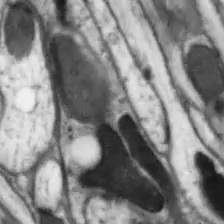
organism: Drosophila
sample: Optic lobe